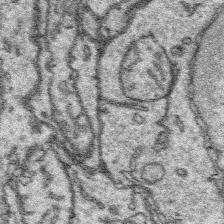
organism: Platynereis dumerilii